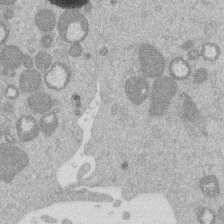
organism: Mouse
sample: Dividing mouse embryo 1 cell stage